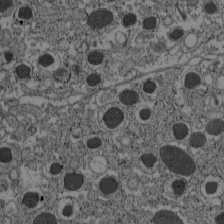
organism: C57BL Mouse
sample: Pancreatic islet